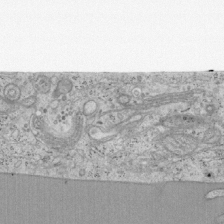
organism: Human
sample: HeLa cells